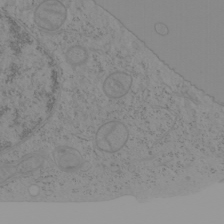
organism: Human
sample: HeLa cells